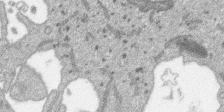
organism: Human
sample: Lung epithelial cells infected with SARS-CoV-2